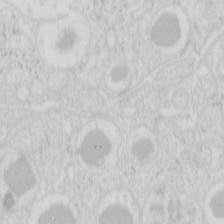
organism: Mouse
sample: Pancreas